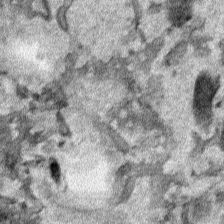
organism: Human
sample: Mitochondria in HCT116 cells